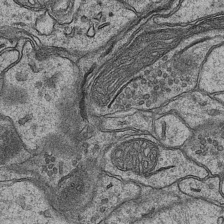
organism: Mouse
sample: CA1 Hippocampus